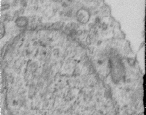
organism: Human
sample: Centriole in RPE cells